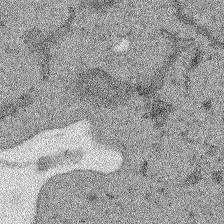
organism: Human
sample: HeLa cells